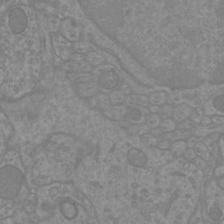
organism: Mouse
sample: Cortical neurons